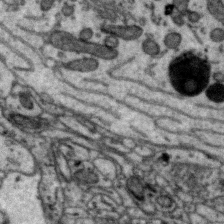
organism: Zebra finch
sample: Brain